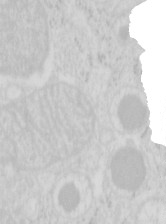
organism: Mouse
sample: Pancreas